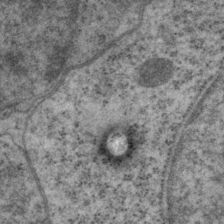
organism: P. pacificus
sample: Pharynx